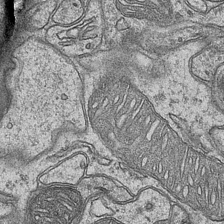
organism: Mouse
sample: CA1 Hippocampus